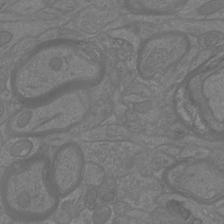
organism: Mouse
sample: Cortical neurons